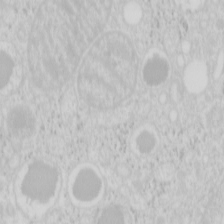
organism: Mouse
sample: Pancreas